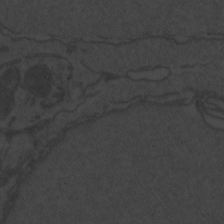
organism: Zebrafish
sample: Macrophage infected with Toxoplasma gondii